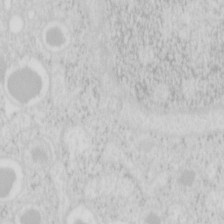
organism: Mouse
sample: Pancreas